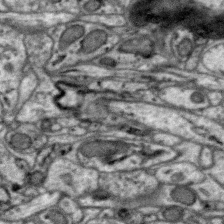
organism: Zebra finch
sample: Brain